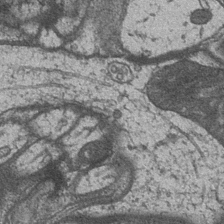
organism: Drosophila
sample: Optic medulla